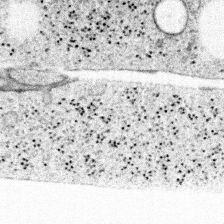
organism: Human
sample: HeLa cells